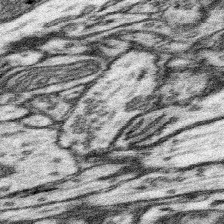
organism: Mouse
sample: Somatosensory cortex neuropil